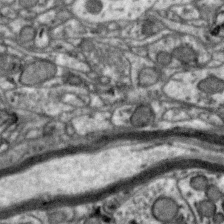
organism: Zebra finch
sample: Brain